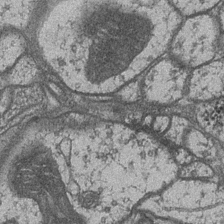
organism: Drosophila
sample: Optic medulla